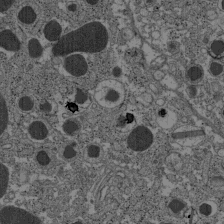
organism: C57BL Mouse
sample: Pancreatic islet